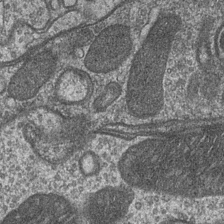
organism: Drosophila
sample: Optic medulla